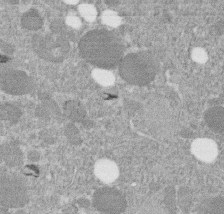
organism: C. elegans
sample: C. elegans embryo early stage